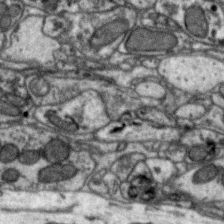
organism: Zebra finch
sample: Brain